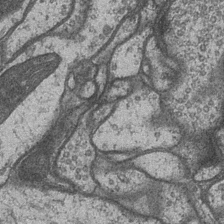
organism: Drosophila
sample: Optic medulla